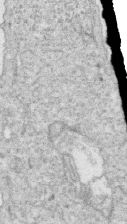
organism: Human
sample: HeLa cell HIV synapse